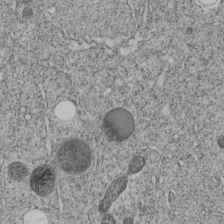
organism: C. elegans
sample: C. elegans embryo early stage